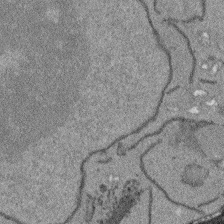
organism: Arabidopsis thaliana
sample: Root tip